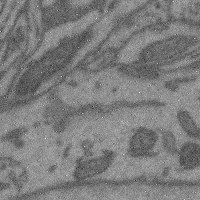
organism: Mouse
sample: Cerebral cortex